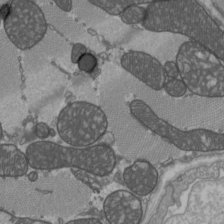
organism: C57BL Mouse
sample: Heart